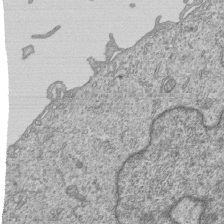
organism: Human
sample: MDA-MB-231 cells